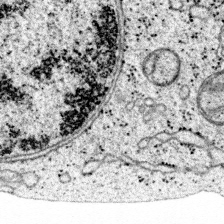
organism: Human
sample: HeLa cells